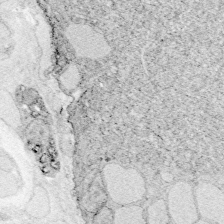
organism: Zebrafish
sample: Whole-Brain